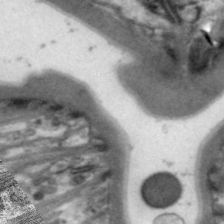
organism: C. elegans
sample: Pharynx